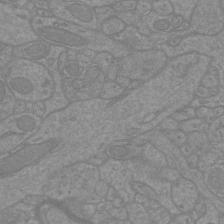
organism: Mouse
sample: Cortical neurons